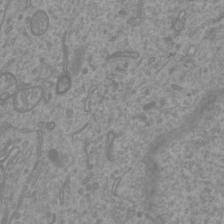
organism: Mouse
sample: Cortical neurons